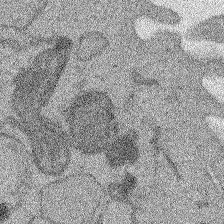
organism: Human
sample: HeLa cells